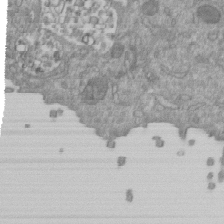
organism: Mouse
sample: ED-1 cell nuclei; centrioles